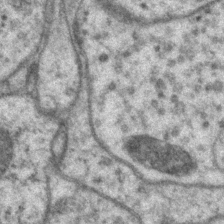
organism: P. pacificus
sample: Pharynx